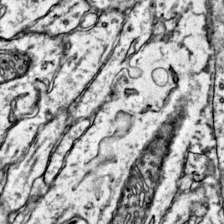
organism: Mouse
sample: Primary visual cortex